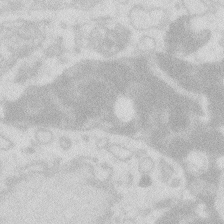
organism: Zebrafish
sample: Macrophage